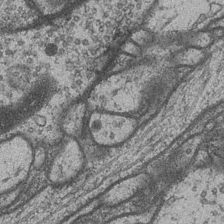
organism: Drosophila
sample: Optic medulla